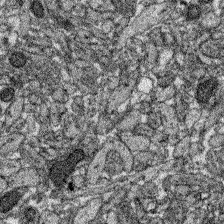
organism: Zebrafish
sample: Larval olfactory bulb